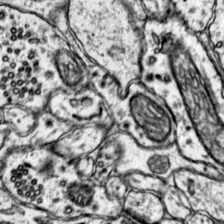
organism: Mouse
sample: Primary visual cortex